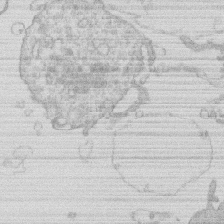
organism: Human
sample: Macrophage cells